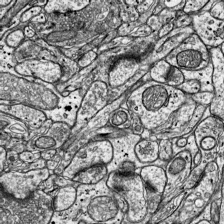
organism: Mouse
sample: Visual Cortex